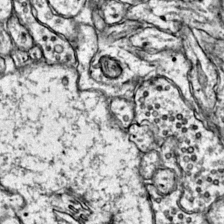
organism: Mouse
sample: Primary visual cortex